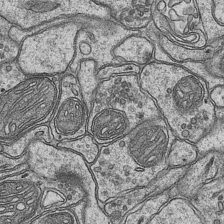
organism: Mouse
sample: CA1 Hippocampus